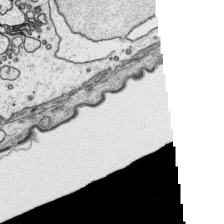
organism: Platynereis dumerilii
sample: Parapodia